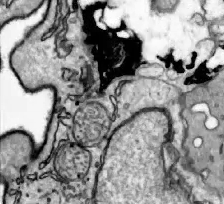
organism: Zebrafish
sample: Actinotrichia fibers